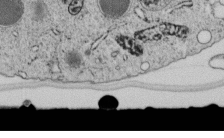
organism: C. elegans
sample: C. elegans embryo early stage